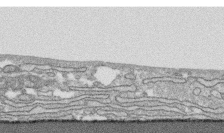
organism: Human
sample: CRL-1474